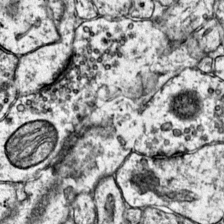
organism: Mouse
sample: Primary visual cortex